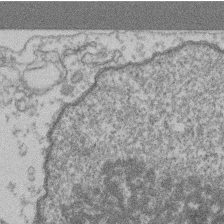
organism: Mouse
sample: T cell stromal cell synapse